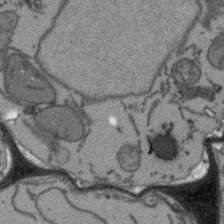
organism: Arabidopsis thaliana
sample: Root tip